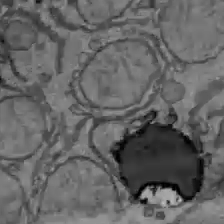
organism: C57BL Mouse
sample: Liver